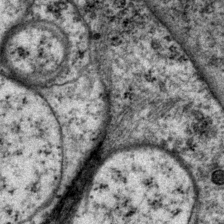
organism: P. pacificus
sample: Pharynx